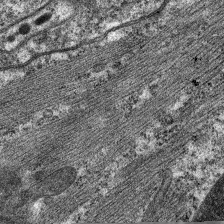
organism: C. elegans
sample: Pharynx